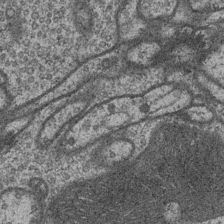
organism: Drosophila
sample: Optic medulla